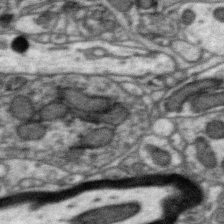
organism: Zebra finch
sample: Brain